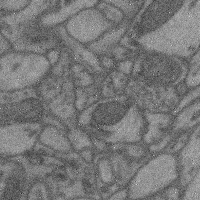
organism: Mouse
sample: Cerebral cortex